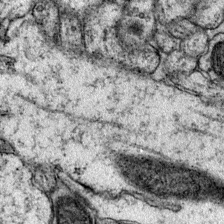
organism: Mouse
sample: Primary visual cortex